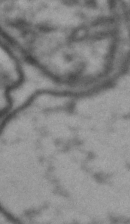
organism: Drosophila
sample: Brain